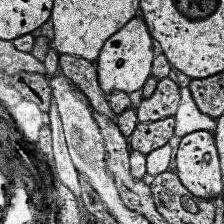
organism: Human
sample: Temporal Lobe